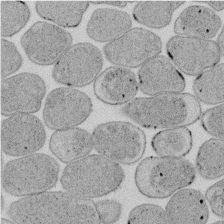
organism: E. coli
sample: Bacterial nucleoid